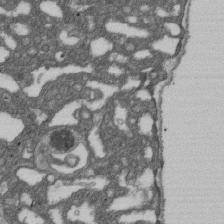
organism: Drosophila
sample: Nephrocyte